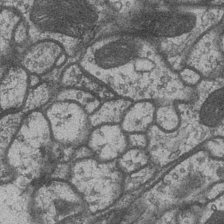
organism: Drosophila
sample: Optic medulla